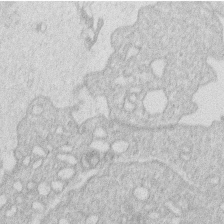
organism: Human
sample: Macrophage cells